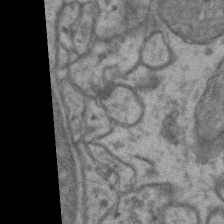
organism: Mouse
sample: CA1 Hippocampus